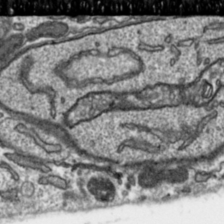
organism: Toxoplasma gondii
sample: Parasites in a vacuole inside a host cell